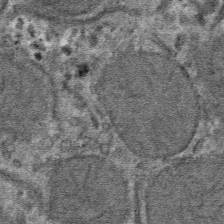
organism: Mouse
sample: Mouse hepatocytes